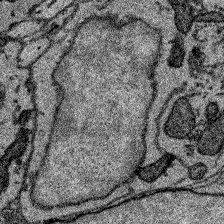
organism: Zebrafish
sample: Larval olfactory bulb